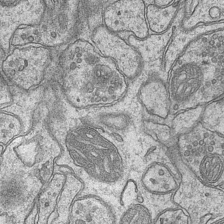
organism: Mouse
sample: CA1 Hippocampus